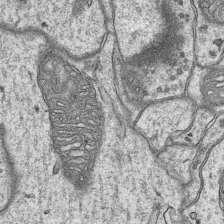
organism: Mouse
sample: CA1 Hippocampus